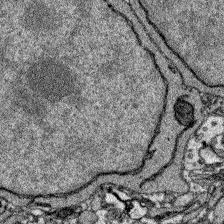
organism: Zebrafish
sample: Larval olfactory bulb